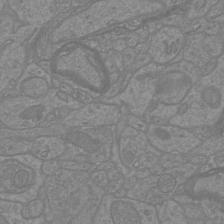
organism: Mouse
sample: Cortical neurons